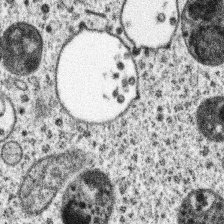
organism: Human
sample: HeLa cells